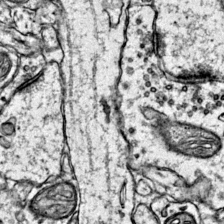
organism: Mouse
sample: Primary visual cortex